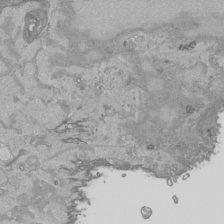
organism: Human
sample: Mitochondria in HCT116 cells